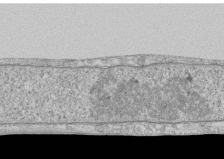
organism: Human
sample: CRL-1474